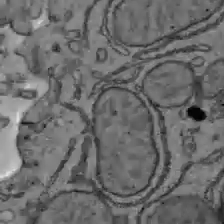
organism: C57BL Mouse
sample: Liver